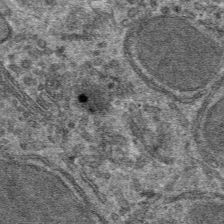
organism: Mouse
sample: Mouse hepatocytes